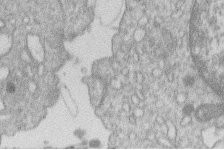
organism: Human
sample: Macrophage cells